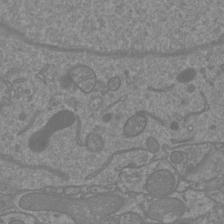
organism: Mouse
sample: Cortical neurons